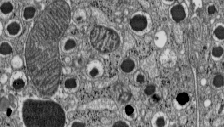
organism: C57BL Mouse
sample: Pancreatic islet